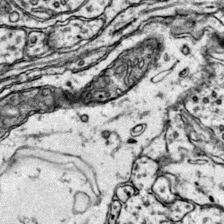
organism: Mouse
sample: Primary visual cortex